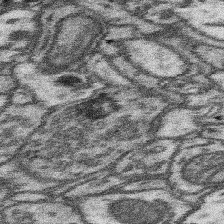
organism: Mouse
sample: Somatosensory cortex neuropil